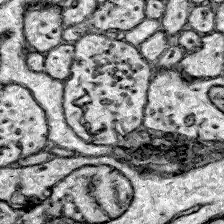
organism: Zebrafish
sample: Brain